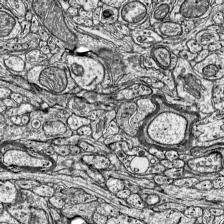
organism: Mouse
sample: Visual Cortex